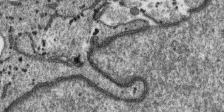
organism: Human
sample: Lung epithelial cells infected with SARS-CoV-2